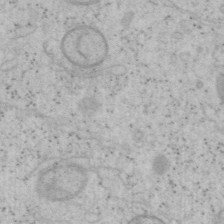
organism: Human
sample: HeLa cells